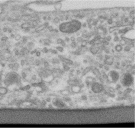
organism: Human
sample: Centriole in RPE cells